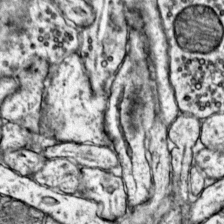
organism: Mouse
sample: Primary visual cortex